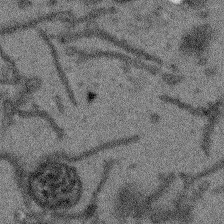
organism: Arabidopsis thaliana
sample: Root tip